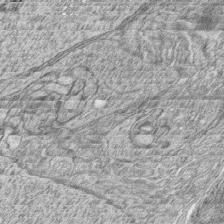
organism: Zebrafish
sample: synaptic ribbons in rod cells and cone cells